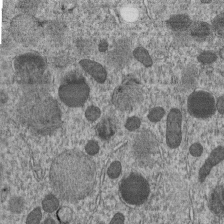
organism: C. elegans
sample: C. elegans embryo early stage